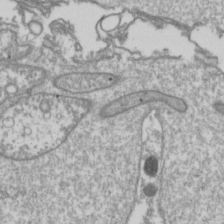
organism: Drosophila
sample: Cell division; meiosis; drosophila spermatocytes